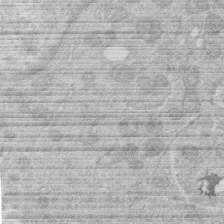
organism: Human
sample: Macrophage cells